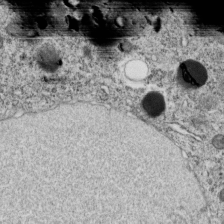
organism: C. elegans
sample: C. elegans embryo early stage